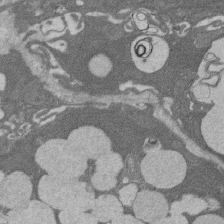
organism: Rat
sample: Salivary granule